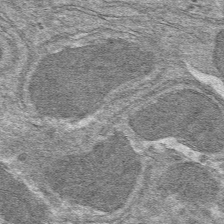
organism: Mouse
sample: Mouse hepatocytes